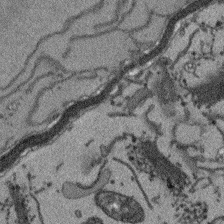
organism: Arabidopsis thaliana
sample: Root tip